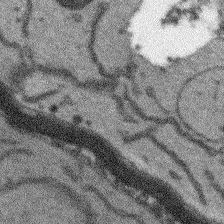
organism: Arabidopsis thaliana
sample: Root tip